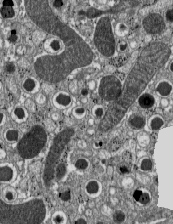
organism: C57BL Mouse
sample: Pancreatic islet